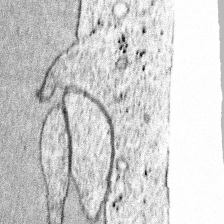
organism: Human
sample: HeLa cells